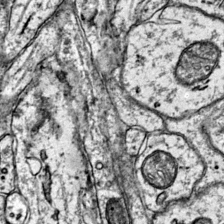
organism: Mouse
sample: Primary visual cortex